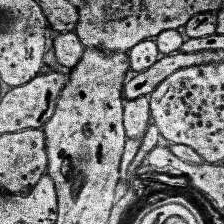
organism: Human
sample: Temporal Lobe